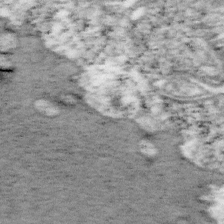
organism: Mouse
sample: OT-I killer T cells with ID8 ovarian cancer cells